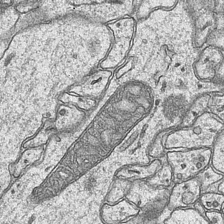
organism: Mouse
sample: CA1 Hippocampus